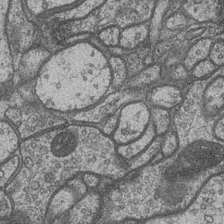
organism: Drosophila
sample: Optic medulla